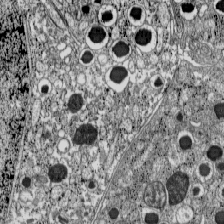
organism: C57BL Mouse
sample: Pancreatic islet